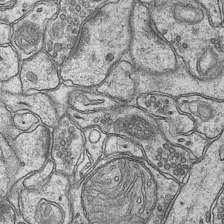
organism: Mouse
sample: CA1 Hippocampus